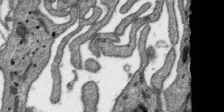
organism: Human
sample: Lung epithelial cells, uninfected (mock) control